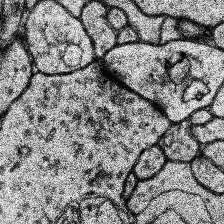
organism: Human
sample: Temporal Lobe